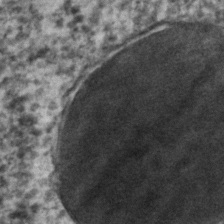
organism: C. elegans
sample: C. elegans embryo